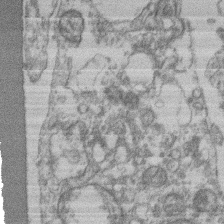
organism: Mouse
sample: T cell stromal cell synapse